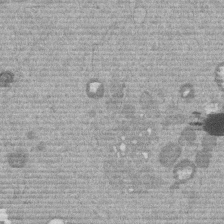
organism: Mouse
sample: Dividing mouse embryo 1 cell stage